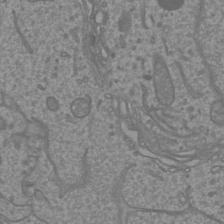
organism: Mouse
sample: Cortical neurons